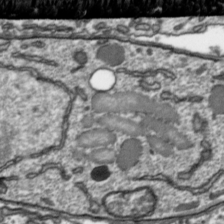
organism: Toxoplasma gondii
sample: Parasites in a vacuole inside a host cell